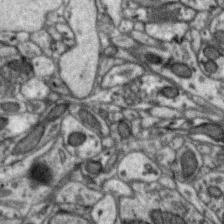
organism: Zebra finch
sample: Brain